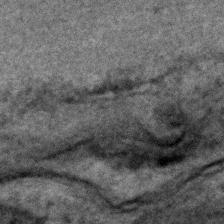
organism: C. elegans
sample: C. elegans embryo